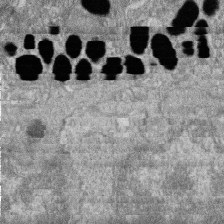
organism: Zebrafish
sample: Cilia; retinal pigment epithelium